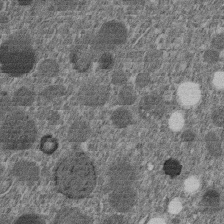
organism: C. elegans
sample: C. elegans embryo early stage